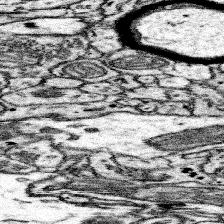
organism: Mouse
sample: Somatosensory cortex neuropil